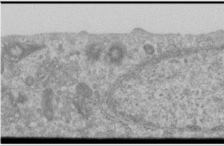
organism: Human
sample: Cilia; basal body in RPE cells